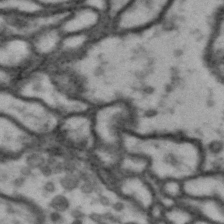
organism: Drosophila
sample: Brain